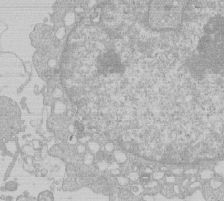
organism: Human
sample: Macrophage cells